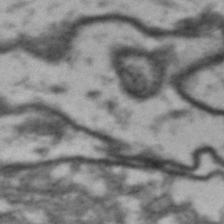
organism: Drosophila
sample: Brain